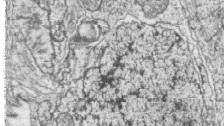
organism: Zebrafish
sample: synaptic ribbons in rod cells and cone cells